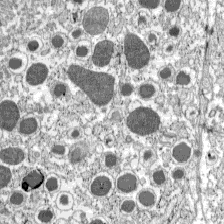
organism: C57BL Mouse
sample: Pancreatic islet